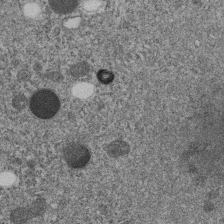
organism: C. elegans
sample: C. elegans embryo early stage